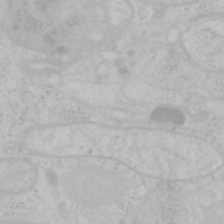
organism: Mouse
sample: OT-I killer T cells with ID8 ovarian cancer cells